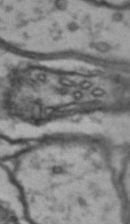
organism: Drosophila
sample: Brain